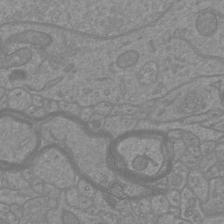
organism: Mouse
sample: Cortical neurons